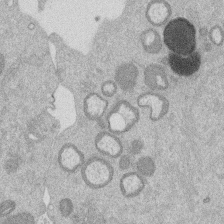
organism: Mouse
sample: Dividing mouse embryo 1 cell stage